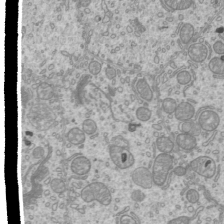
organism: Mouse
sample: Cilia; mouse epididymis